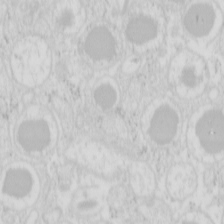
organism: Mouse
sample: Pancreas